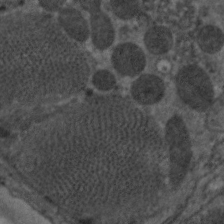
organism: C. elegans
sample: Pharynx